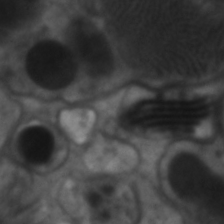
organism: C. elegans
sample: Pharynx